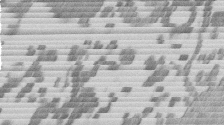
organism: Mouse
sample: Dividing mouse embryo 1 cell stage